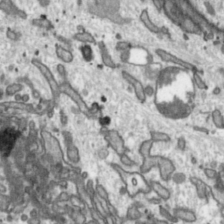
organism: Toxoplasma gondii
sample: Parasites in a vacuole inside a host cell